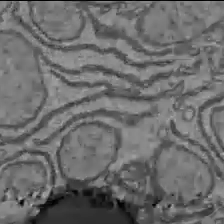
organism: C57BL Mouse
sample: Liver